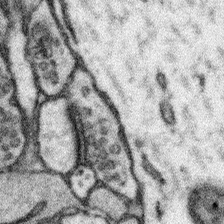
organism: Mouse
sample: Somatosensory cortex neuropil